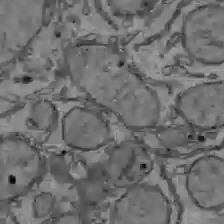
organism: C57BL Mouse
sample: Liver